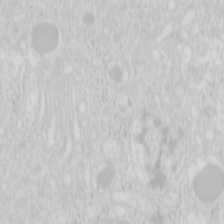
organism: Mouse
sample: Pancreas